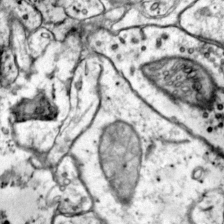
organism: Mouse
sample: Primary visual cortex